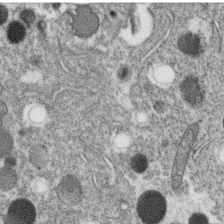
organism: C. elegans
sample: C. elegans oocyte; sperm cells